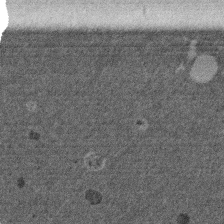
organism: Mouse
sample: Dividing mouse embryo 1 cell stage